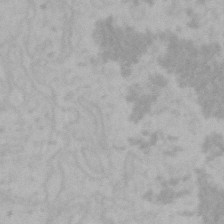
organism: Mouse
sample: Choroid plexus